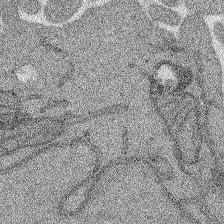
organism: Human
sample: HeLa cells